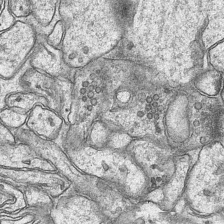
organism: Mouse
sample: CA1 Hippocampus